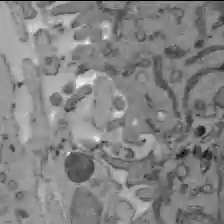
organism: C57BL Mouse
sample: Liver